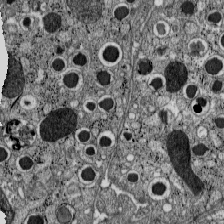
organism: C57BL Mouse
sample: Pancreatic islet